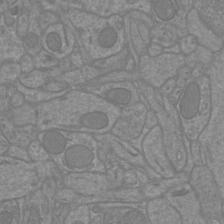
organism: Mouse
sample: Cortical neurons